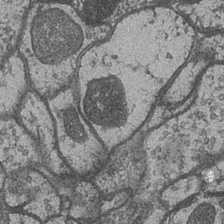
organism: Drosophila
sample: Optic medulla